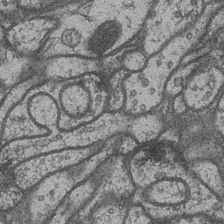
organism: Drosophila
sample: Optic medulla